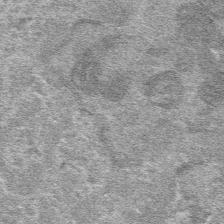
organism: Mouse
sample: Mouse hepatocytes